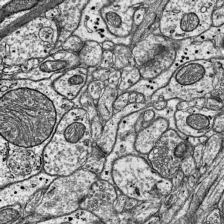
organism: Mouse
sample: Visual Cortex